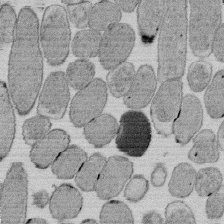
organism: E. coli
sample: Bacterial nucleoid